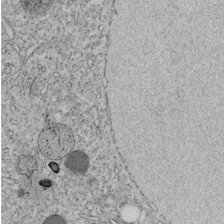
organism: C. elegans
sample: C. elegans embryo early stage